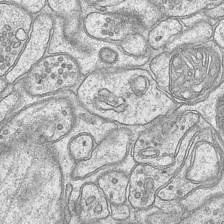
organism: Mouse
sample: CA1 Hippocampus